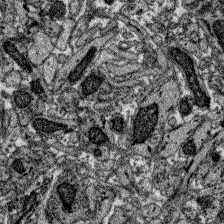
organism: Zebrafish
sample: Larval olfactory bulb